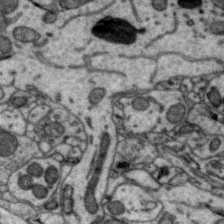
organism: Zebra finch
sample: Brain